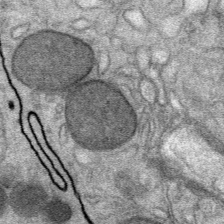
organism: Mouse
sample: Mouse Salivary gland